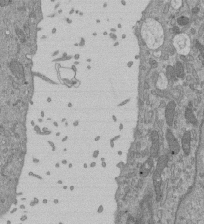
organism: Mouse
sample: ED-1 cell nuclei; centrioles